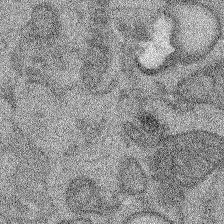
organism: Human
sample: HeLa cells